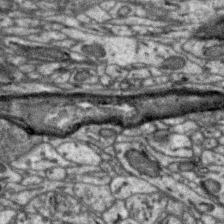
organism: Zebra finch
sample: Brain